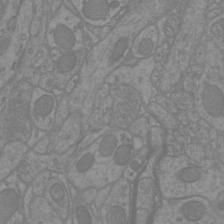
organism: Mouse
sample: Cortical neurons